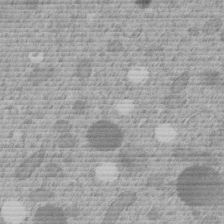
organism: C. elegans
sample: C. elegans embryo early stage